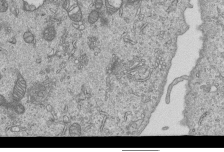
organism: Human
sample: MDA-MB-231 cells